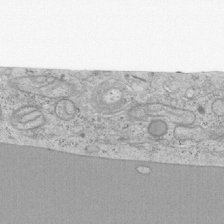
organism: Human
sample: HeLa cells